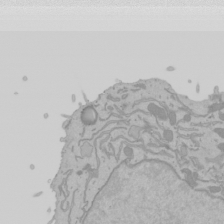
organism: Mouse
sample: Cancer cell death in ED-1 cells